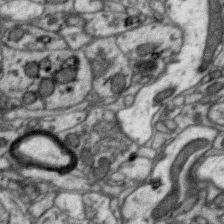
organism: Zebra finch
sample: Brain